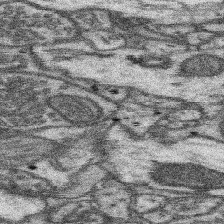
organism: Mouse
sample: Somatosensory cortex neuropil